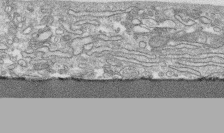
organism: Human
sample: CRL-1474